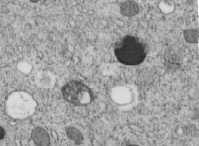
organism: C. elegans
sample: C. elegans embryo early stage